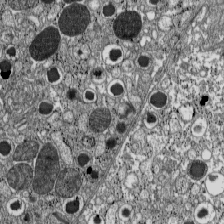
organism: C57BL Mouse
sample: Pancreatic islet